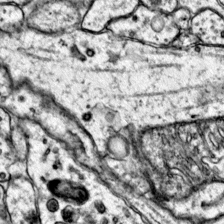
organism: Mouse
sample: Primary visual cortex